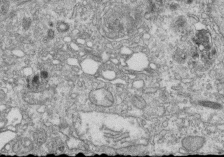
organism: Human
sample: HeLa cell HIV synapse